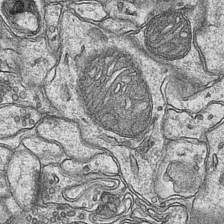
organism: Mouse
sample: CA1 Hippocampus